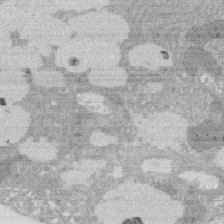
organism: Rat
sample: Salivary granule